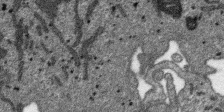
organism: Human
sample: Lung epithelial cells infected with SARS-CoV-2